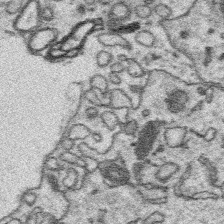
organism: Platynereis dumerilii